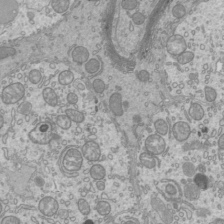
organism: Mouse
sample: Cilia; mouse epididymis